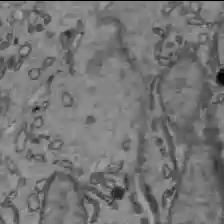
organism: C57BL Mouse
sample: Liver